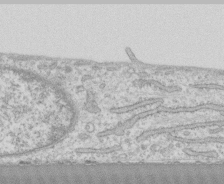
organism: Human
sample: CRL-1474